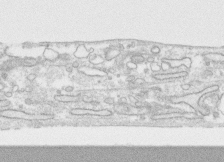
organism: Human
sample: CRL-1474